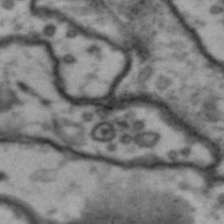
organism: Drosophila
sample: Brain